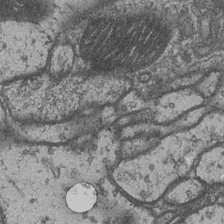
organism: Drosophila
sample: Optic medulla